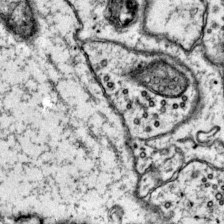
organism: Mouse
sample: Primary visual cortex